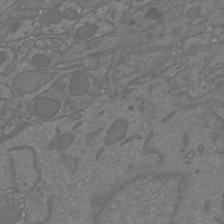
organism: Mouse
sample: Cortical neurons